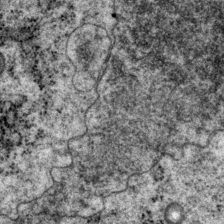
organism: P. pacificus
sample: Pharynx